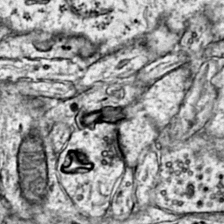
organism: Mouse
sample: Primary visual cortex